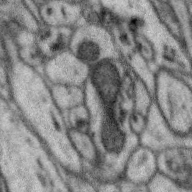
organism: Zebra finch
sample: Brain